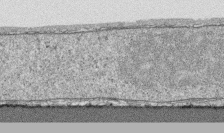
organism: Human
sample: CRL-1474